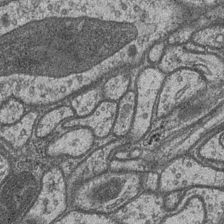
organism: Drosophila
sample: Optic medulla